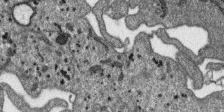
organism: Human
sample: Lung epithelial cells infected with SARS-CoV-2